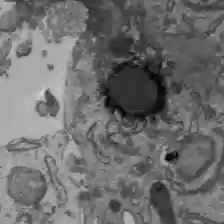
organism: C57BL Mouse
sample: Liver